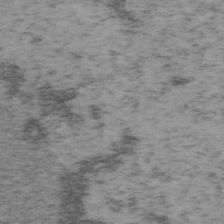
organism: Mouse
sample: OT-I killer T cells with ID8 ovarian cancer cells